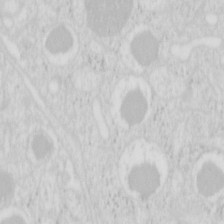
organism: Mouse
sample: Pancreas